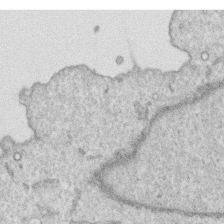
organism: Human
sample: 1205lu cells